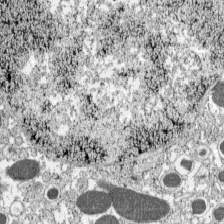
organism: C57BL Mouse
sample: Pancreatic islet